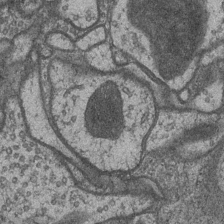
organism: Drosophila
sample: Optic medulla